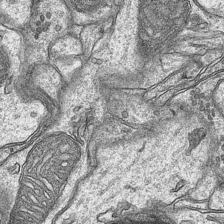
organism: Mouse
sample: CA1 Hippocampus